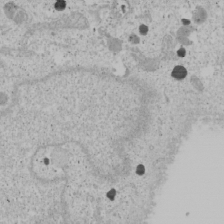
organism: Human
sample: Mitochondria in U2OS cells